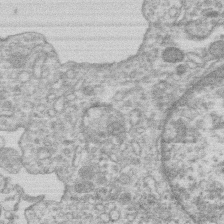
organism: Human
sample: Macrophage cells